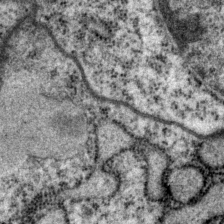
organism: P. pacificus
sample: Pharynx